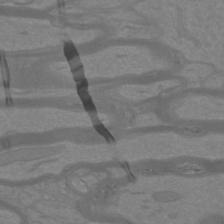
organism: Mouse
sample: Cortical neurons